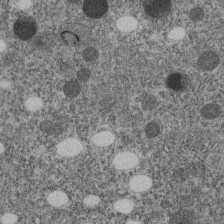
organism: C. elegans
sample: C. elegans embryo early stage